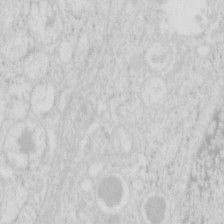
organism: Mouse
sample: Pancreas